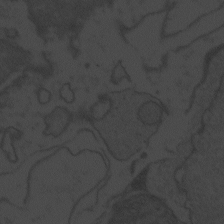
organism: Zebrafish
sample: Macrophage infected with Toxoplasma gondii